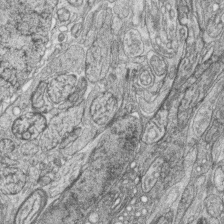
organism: Zebrafish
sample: synaptic ribbons in rod cells and cone cells